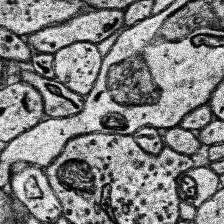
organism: Human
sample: Temporal Lobe